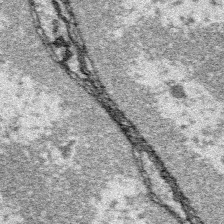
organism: Platynereis dumerilii